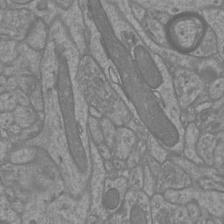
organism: Mouse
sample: Cortical neurons